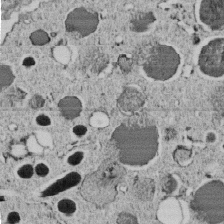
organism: C. elegans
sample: C. elegans embryo early stage